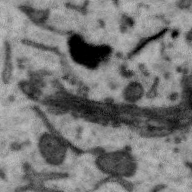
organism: Zebra finch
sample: Brain